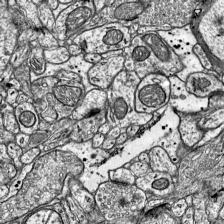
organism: Mouse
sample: Visual Cortex